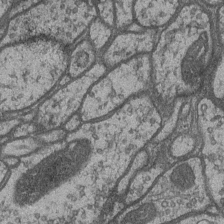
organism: Drosophila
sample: Optic medulla